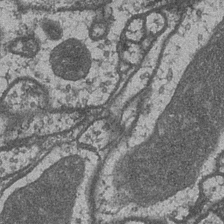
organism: Drosophila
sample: Optic medulla